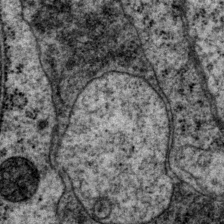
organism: P. pacificus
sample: Pharynx